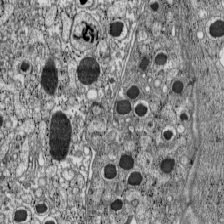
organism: C57BL Mouse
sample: Pancreatic islet